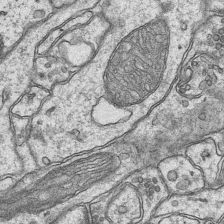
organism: Mouse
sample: CA1 Hippocampus